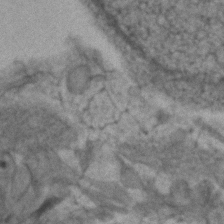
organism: Zebrafish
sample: Zebrafish embryo